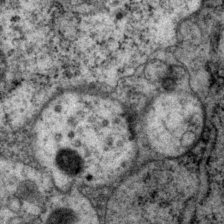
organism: P. pacificus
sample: Pharynx